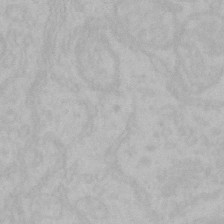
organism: Mouse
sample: Choroid plexus